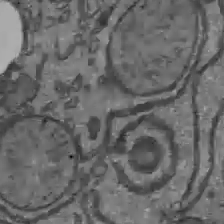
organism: C57BL Mouse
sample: Liver